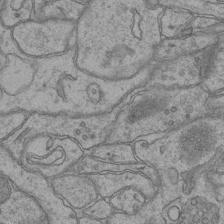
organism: Mouse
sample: CA1 Hippocampus